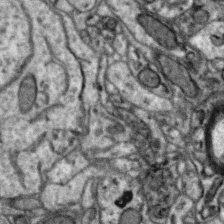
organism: Zebra finch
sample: Brain